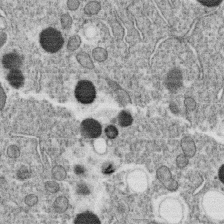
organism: C. elegans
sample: C. elegans oocyte; sperm cells